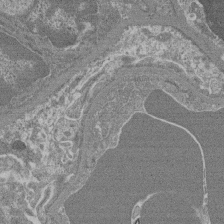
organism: Mouse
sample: Glomerulus